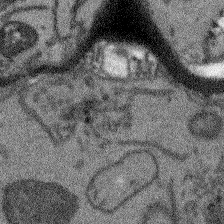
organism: Arabidopsis thaliana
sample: Root tip